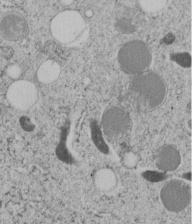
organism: C. elegans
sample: C. elegans embryo early stage